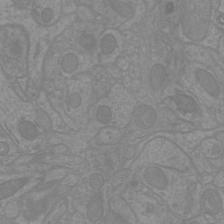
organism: Mouse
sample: Cortical neurons